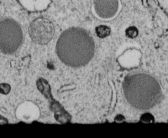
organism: C. elegans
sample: C. elegans embryo early stage